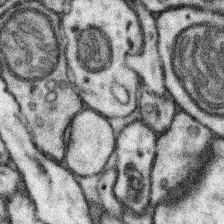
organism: Mouse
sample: Somatosensory cortex neuropil